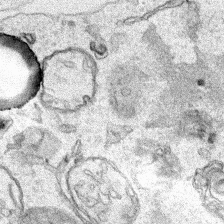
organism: Human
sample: Mitochondria in HCT116 cells